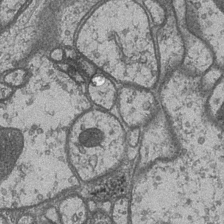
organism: Drosophila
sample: Optic medulla